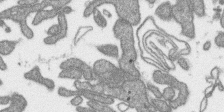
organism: Human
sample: Lung epithelial cells infected with SARS-CoV-2